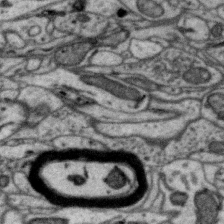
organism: Zebra finch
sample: Brain